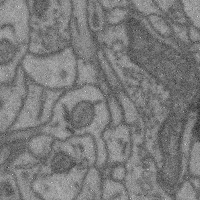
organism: Mouse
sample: Cerebral cortex